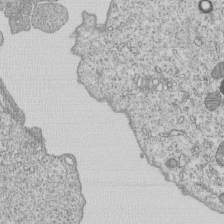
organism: Human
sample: MDA-MB-231 cells